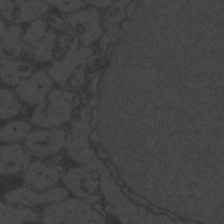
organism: Zebrafish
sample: Macrophage infected with Toxoplasma gondii